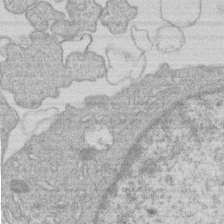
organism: Human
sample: Macrophage cells